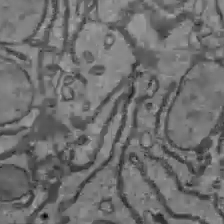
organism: C57BL Mouse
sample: Liver